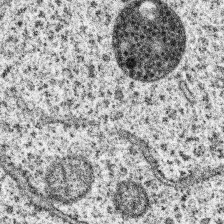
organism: Human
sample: HeLa cells